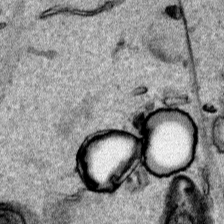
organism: Human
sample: Mitochondria in HCT116 cells